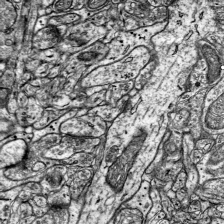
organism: Mouse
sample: Visual Cortex